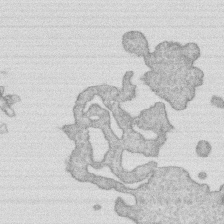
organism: Human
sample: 1205lu cells